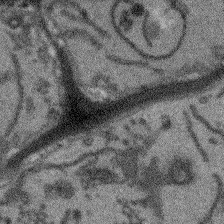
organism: Arabidopsis thaliana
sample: Root tip